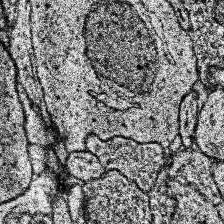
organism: Human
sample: Temporal Lobe